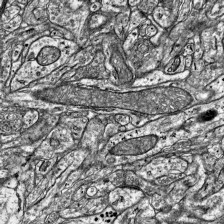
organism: Mouse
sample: Visual Cortex